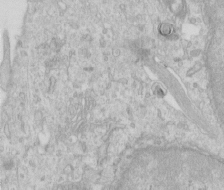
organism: Human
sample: Centriole in RPE cells